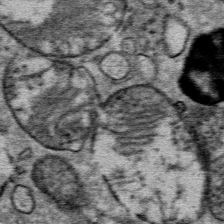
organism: Mouse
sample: Mouse Salivary gland